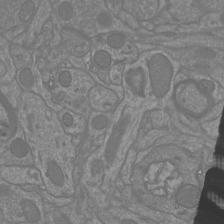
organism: Mouse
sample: Cortical neurons